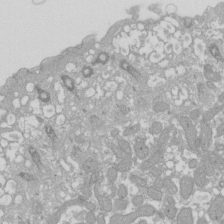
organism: Xenopus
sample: Cilia; centrioles in frog embryo cells